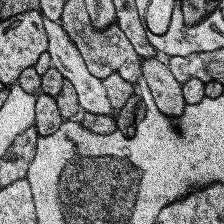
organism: Human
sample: Temporal Lobe